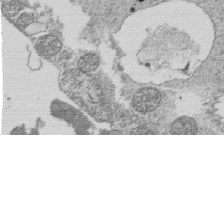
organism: Tetrahymena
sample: Cilia in tetrahymena